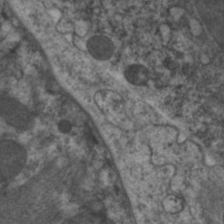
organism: C. elegans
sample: Pharynx